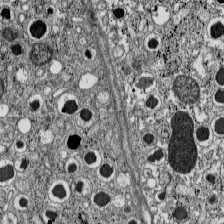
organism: C57BL Mouse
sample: Pancreatic islet